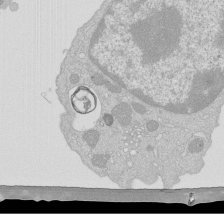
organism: Mouse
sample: Activated Pmel transgenic CD8+ T Cells